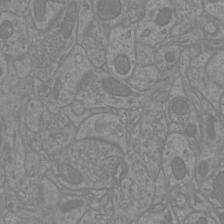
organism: Mouse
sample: Cortical neurons